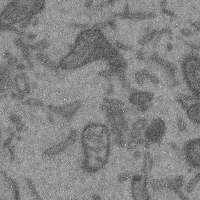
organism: Mouse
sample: Cerebral cortex